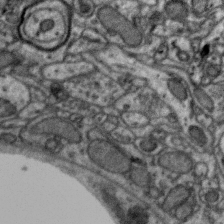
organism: Zebra finch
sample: Brain